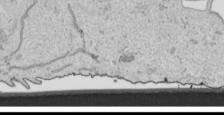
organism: Human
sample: Mitochondria in HCT116 cells